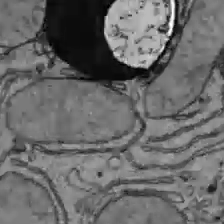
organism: C57BL Mouse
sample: Liver